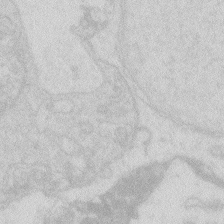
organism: Zebrafish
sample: Macrophage